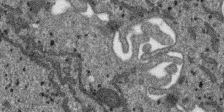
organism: Human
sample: Lung epithelial cells infected with SARS-CoV-2